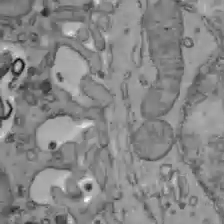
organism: C57BL Mouse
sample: Liver